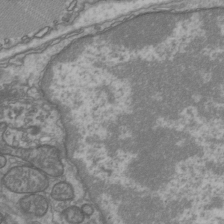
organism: C57BL Mouse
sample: Heart